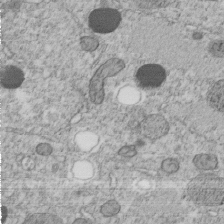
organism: C. elegans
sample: C. elegans embryo early stage